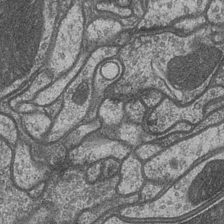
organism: Drosophila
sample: Optic medulla